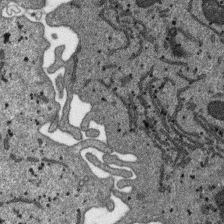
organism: Human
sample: Lung epithelial cells infected with SARS-CoV-2